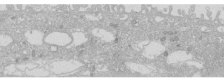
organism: Human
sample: Caco-2 cells